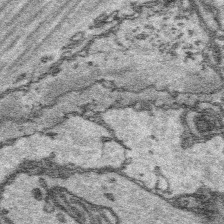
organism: Platynereis dumerilii